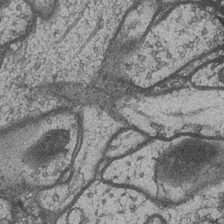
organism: Drosophila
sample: Optic medulla